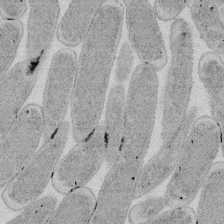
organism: E. coli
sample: Bacterial nucleoid